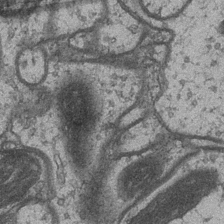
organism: Drosophila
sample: Optic medulla